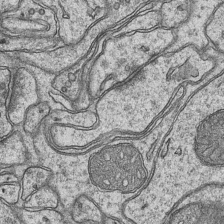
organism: Mouse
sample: CA1 Hippocampus